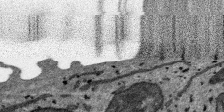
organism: Human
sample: Lung epithelial cells, uninfected (mock) control